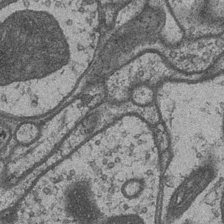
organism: Drosophila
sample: Optic medulla